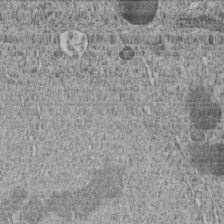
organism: C. elegans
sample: C. elegans embryo early stage